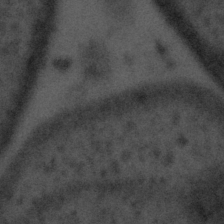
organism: Tuwongella immobilis